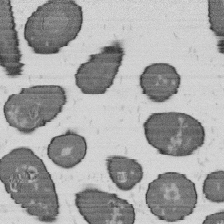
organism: B. subtilis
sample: Bacterial spore